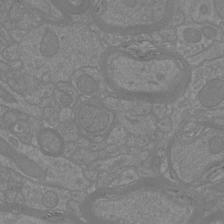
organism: Mouse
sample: Cortical neurons